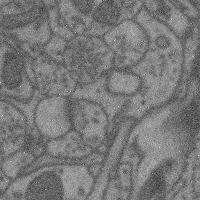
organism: Mouse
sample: Cerebral cortex